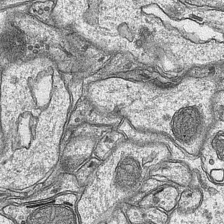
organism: Mouse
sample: CA1 Hippocampus